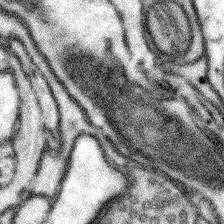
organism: Mouse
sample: Somatosensory cortex neuropil